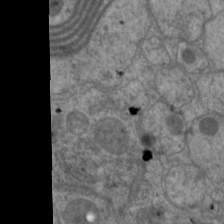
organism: C. elegans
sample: Pharynx